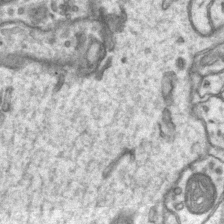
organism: Mouse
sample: CA1 Hippocampus